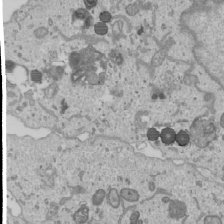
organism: Human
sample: Mitochondria in U2OS cells